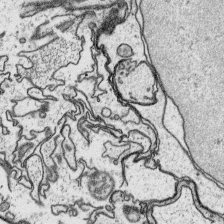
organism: Platynereis dumerilii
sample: Parapodia